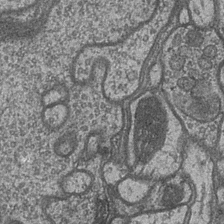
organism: Drosophila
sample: Optic medulla